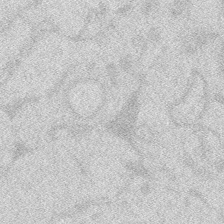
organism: Zebrafish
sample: Macrophage